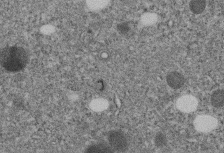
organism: C. elegans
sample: C. elegans embryo early stage